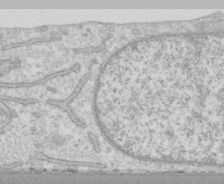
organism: Human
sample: CRL-1474